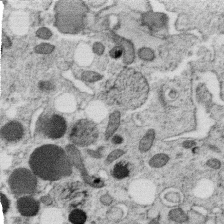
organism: C. elegans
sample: C. elegans oocyte; sperm cells